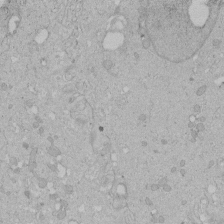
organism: Human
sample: Melanocyte Keratinocyte synapse skin construct